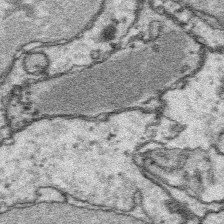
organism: Platynereis dumerilii